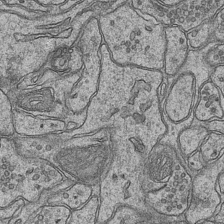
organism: Mouse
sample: CA1 Hippocampus